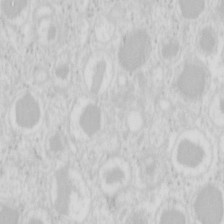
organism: Mouse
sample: Pancreas